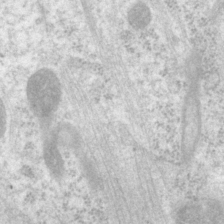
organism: P. pacificus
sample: Pharynx